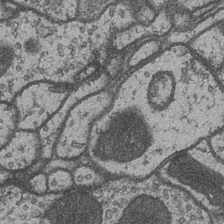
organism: Drosophila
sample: Optic medulla